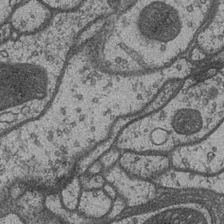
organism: Drosophila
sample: Optic medulla